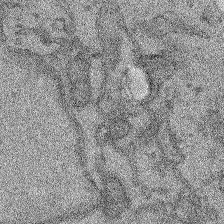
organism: Human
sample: HeLa cells